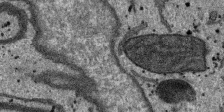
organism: Human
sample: Lung epithelial cells, uninfected (mock) control